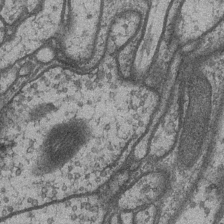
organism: Drosophila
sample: Optic medulla